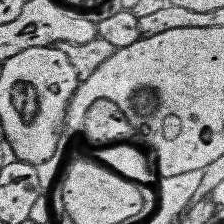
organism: Human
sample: Temporal Lobe